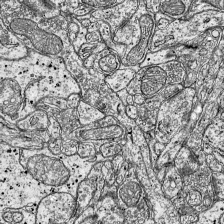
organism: Mouse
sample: Visual Cortex